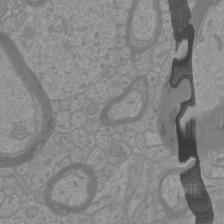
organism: Mouse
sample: Cortical neurons